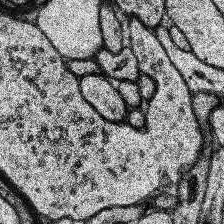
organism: Human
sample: Temporal Lobe